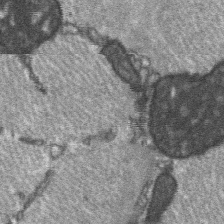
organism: C57BL Mouse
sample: Soleus